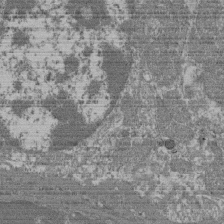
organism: Mouse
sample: Glomerulus